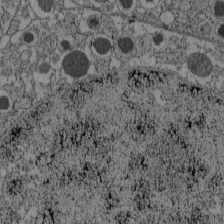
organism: C57BL Mouse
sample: Pancreatic islet